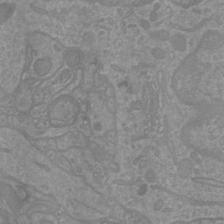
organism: Mouse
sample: Cortical neurons